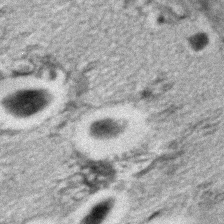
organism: C. elegans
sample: C. elegans embryo